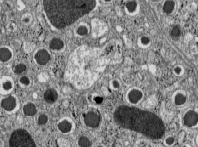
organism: C57BL Mouse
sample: Pancreatic islet